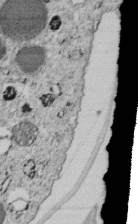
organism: C. elegans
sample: C. elegans embryo early stage